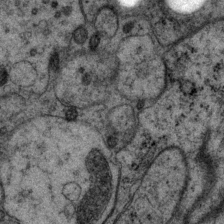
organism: P. pacificus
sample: Pharynx